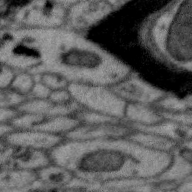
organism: Zebra finch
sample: Brain